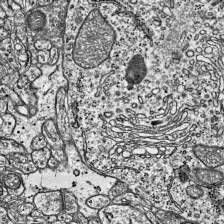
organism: Mouse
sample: Visual Cortex